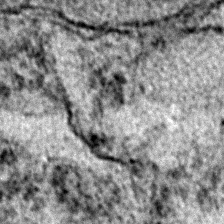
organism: Zebrafish